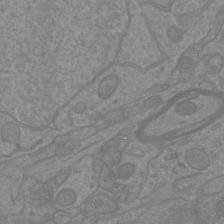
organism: Mouse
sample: Cortical neurons